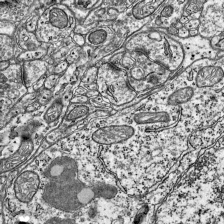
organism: Mouse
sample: Visual Cortex